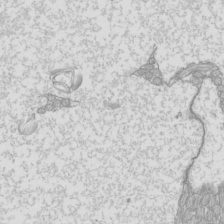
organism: Mouse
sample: Cilia; mouse epididymis